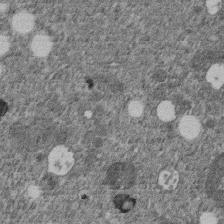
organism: C. elegans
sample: C. elegans embryo early stage